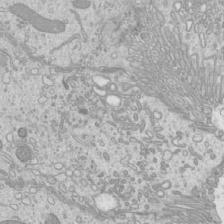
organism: Mouse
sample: Cilia; mouse epididymis